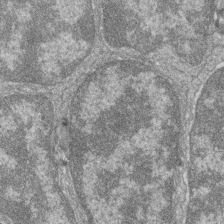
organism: Zebrafish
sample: Cilia; retinal pigment epithelium